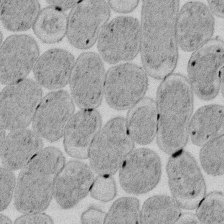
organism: E. coli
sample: Bacterial nucleoid